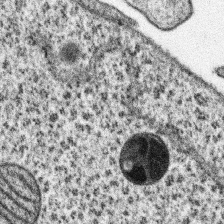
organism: Human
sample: HeLa cells